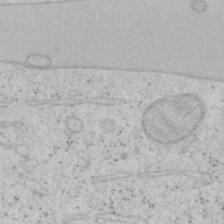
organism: Human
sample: HeLa cells